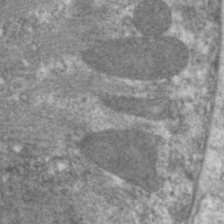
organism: C. elegans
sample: Pharynx